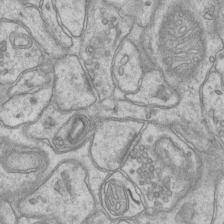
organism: Mouse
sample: CA1 Hippocampus